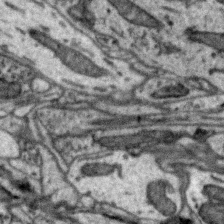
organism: Zebra finch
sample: Brain